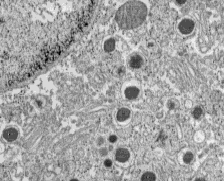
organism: C57BL Mouse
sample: Pancreatic islet